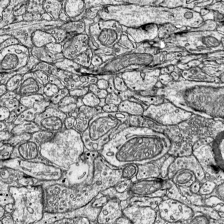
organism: Mouse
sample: Visual Cortex